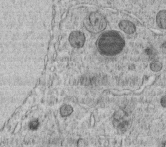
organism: C. elegans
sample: C. elegans embryo early stage